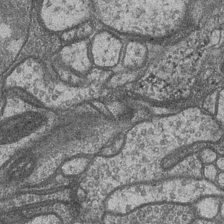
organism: Drosophila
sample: Optic medulla